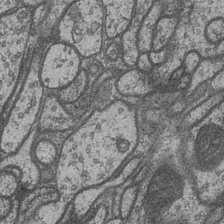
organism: Drosophila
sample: Optic medulla